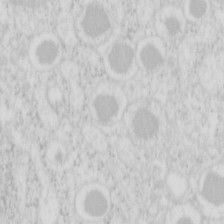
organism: Mouse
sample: Pancreas